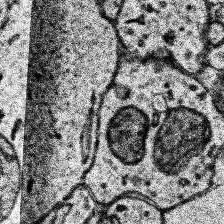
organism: Human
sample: Temporal Lobe